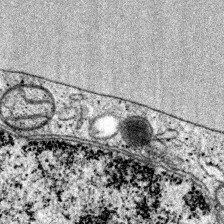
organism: Human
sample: HeLa cells